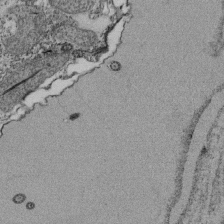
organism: Tetrahymena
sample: Cilia in tetrahymena